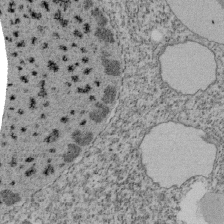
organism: Tetrahymena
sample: Cilia in tetrahymena